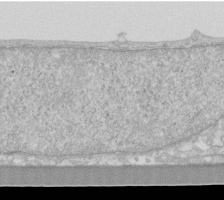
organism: Human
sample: Fibroblast cells